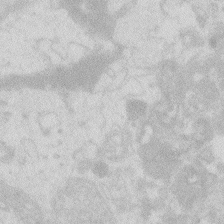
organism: Zebrafish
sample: Macrophage